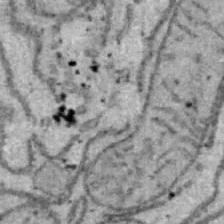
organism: Mouse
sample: Liver from an obese (ob/ob) mouse